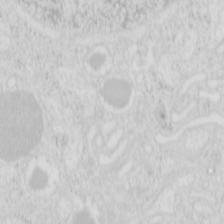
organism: Mouse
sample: Pancreas